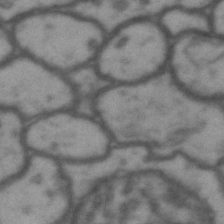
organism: Drosophila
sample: Brain